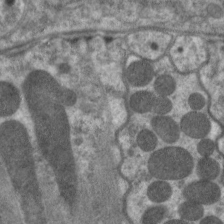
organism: C. elegans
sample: Pharynx